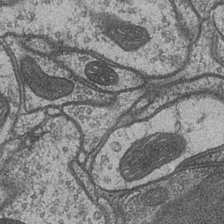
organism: Drosophila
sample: Optic medulla